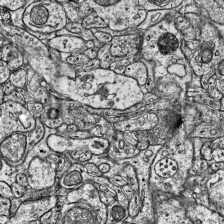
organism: Mouse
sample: Visual Cortex